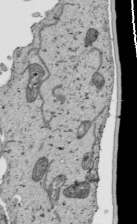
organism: Human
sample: Mitochondria in HCT116 cells